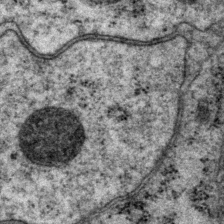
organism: P. pacificus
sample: Pharynx